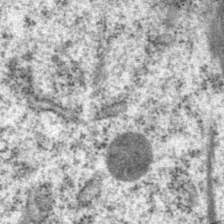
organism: P. pacificus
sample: Pharynx